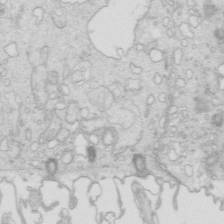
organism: Mouse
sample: Multiciliated cells